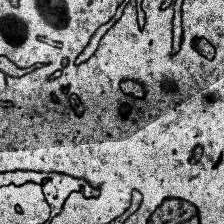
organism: Human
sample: Temporal Lobe